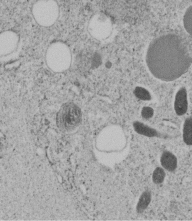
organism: C. elegans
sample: C. elegans embryo early stage